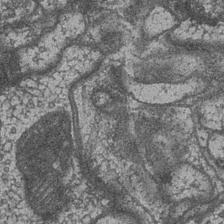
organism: Drosophila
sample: Optic medulla